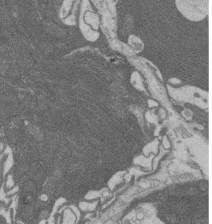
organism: Rat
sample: Salivary granule